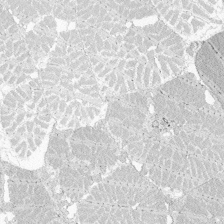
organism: Zebrafish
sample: Whole-Brain